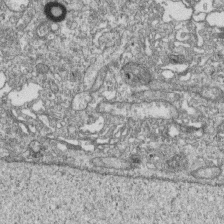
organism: Human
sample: HeLa cell HIV synapse